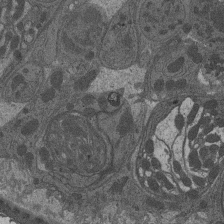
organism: Drosophila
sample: Antenna